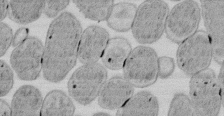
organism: E. coli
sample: Bacterial nucleoid